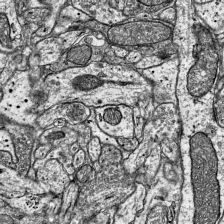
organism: Mouse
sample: Visual Cortex